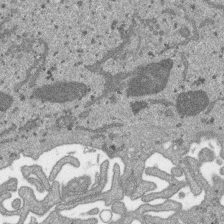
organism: Human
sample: Lung epithelial cells infected with SARS-CoV-2